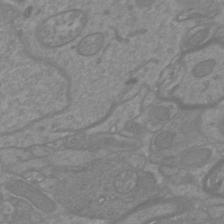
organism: Mouse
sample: Cortical neurons